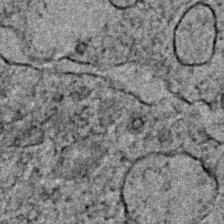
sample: Trachea